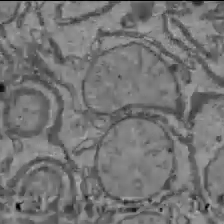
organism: C57BL Mouse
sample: Liver